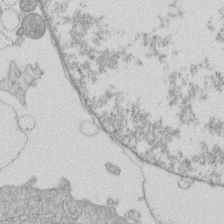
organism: Human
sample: Macrophage cells